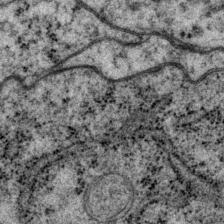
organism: P. pacificus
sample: Pharynx